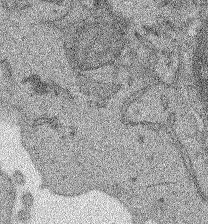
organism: Human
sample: HeLa cells